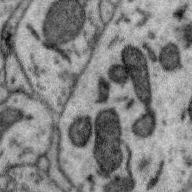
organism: Zebra finch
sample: Brain